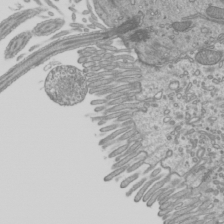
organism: Mouse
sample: Cilia; mouse epididymis